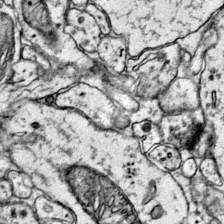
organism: Mouse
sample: Primary visual cortex